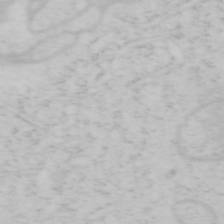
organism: Mouse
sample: OT-I killer T cells with ID8 ovarian cancer cells